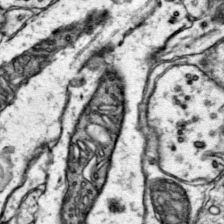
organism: Mouse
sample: Primary visual cortex